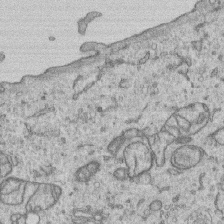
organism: Human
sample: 1205lu cells